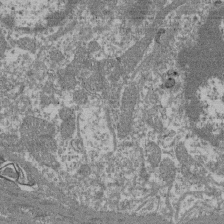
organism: Mouse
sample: Glomerulus